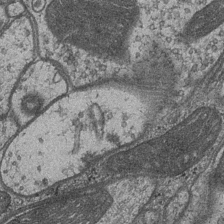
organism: Drosophila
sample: Optic medulla